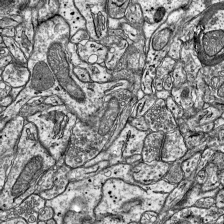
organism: Mouse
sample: Visual Cortex